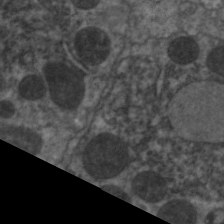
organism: C. elegans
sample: Pharynx